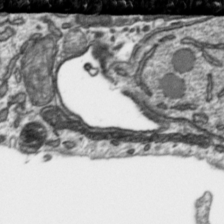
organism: Toxoplasma gondii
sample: Parasites in a vacuole inside a host cell